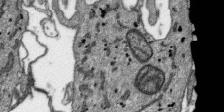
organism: Human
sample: Lung epithelial cells, uninfected (mock) control